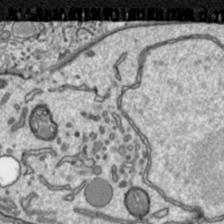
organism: Toxoplasma gondii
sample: Parasites in a vacuole inside a host cell